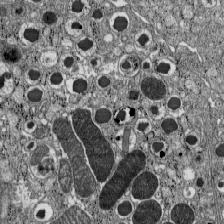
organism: C57BL Mouse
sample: Pancreatic islet